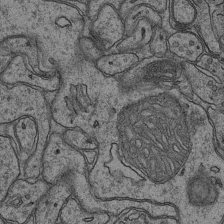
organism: Mouse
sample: CA1 Hippocampus